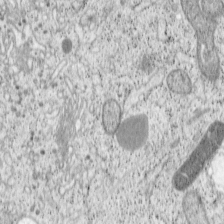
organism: African green monkey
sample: COS-7 cells